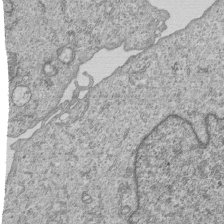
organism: Human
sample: MDA-MB-231 cells